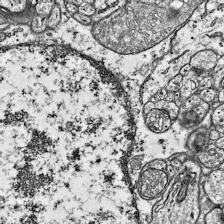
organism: Mouse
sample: Visual Cortex